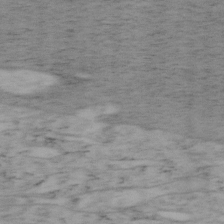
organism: Mouse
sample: OT-I killer T cells with ID8 ovarian cancer cells